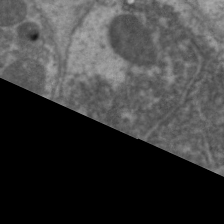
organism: C. elegans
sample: Pharynx